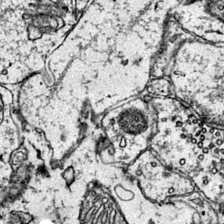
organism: Mouse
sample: Primary visual cortex